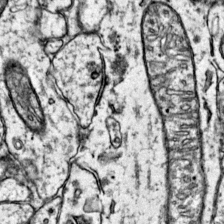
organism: Mouse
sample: Primary visual cortex